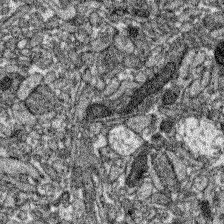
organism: Zebrafish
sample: Larval olfactory bulb